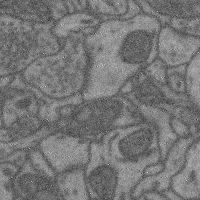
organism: Mouse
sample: Cerebral cortex